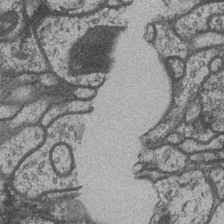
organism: Drosophila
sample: Optic medulla